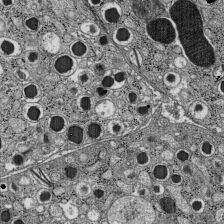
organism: C57BL Mouse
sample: Pancreatic islet